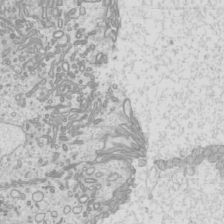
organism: Mouse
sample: Cilia; mouse epididymis